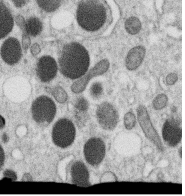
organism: C. elegans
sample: C. elegans oocyte; sperm cells